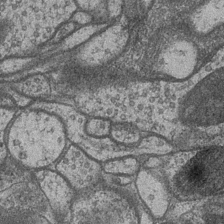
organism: Drosophila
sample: Optic medulla